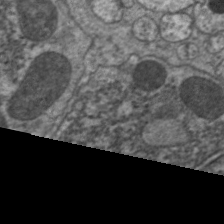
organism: C. elegans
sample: Pharynx